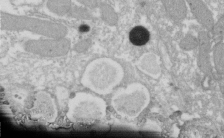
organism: Xenopus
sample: Cilia; centrioles in frog embryo cells